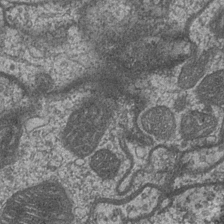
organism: Drosophila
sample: Optic medulla